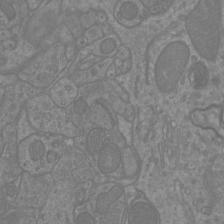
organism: Mouse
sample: Cortical neurons